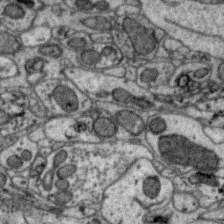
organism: Zebra finch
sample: Brain